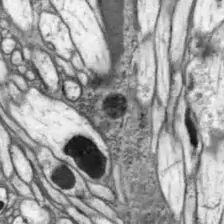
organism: Drosophila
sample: Optic lobe